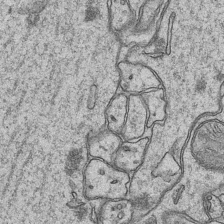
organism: Mouse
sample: CA1 Hippocampus